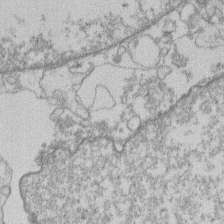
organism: Human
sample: Macrophage cells